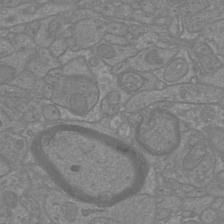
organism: Mouse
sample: Cortical neurons